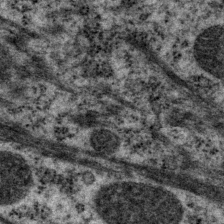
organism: P. pacificus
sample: Pharynx